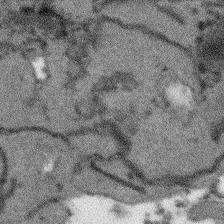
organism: Arabidopsis thaliana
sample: Root tip